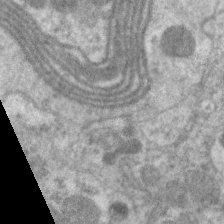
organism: C. elegans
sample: Pharynx